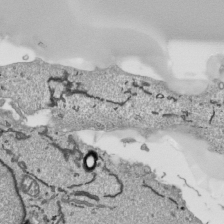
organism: Human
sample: Mitochondria in HCT116 cells